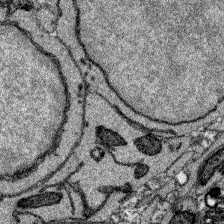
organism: Zebrafish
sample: Larval olfactory bulb